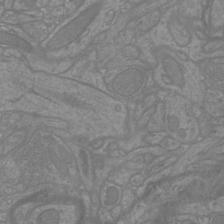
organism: Mouse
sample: Cortical neurons